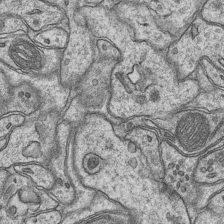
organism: Mouse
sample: CA1 Hippocampus